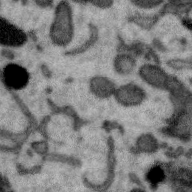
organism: Zebra finch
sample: Brain